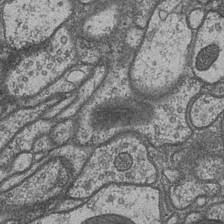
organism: Drosophila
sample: Optic medulla